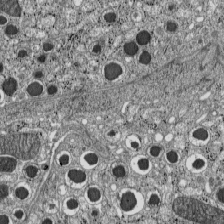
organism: C57BL Mouse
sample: Pancreatic islet